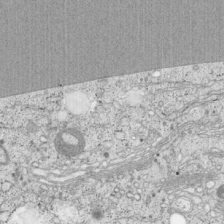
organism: African green monkey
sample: COS-7 cells